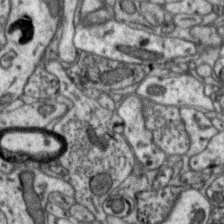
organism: Zebra finch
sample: Brain